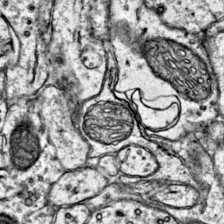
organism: Mouse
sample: Primary visual cortex